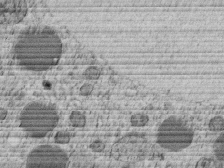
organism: C. elegans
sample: C. elegans embryo early stage